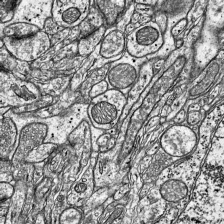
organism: Mouse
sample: Visual Cortex